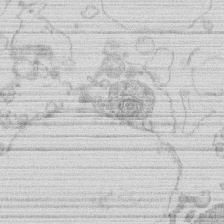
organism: Human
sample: Macrophage cells